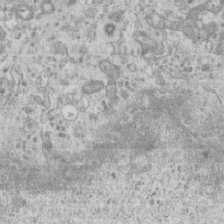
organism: Mouse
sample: Centriole in ependymal cells